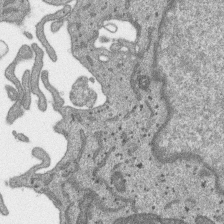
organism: Human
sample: Lung epithelial cells infected with SARS-CoV-2